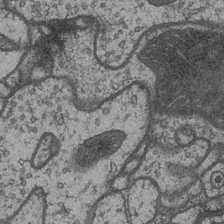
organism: Drosophila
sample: Optic medulla